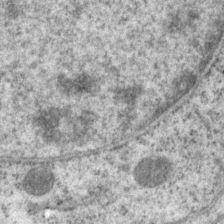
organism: P. pacificus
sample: Pharynx